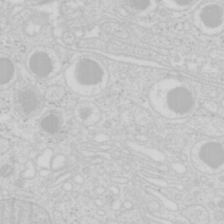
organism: Mouse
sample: Pancreas